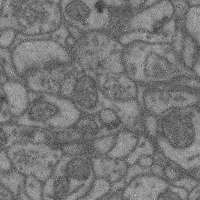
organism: Mouse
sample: Cerebral cortex